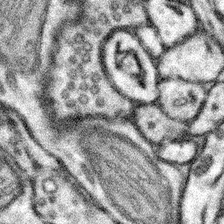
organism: Mouse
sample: Somatosensory cortex neuropil